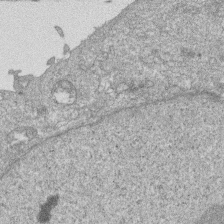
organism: Human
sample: HeLa cell HIV synapse